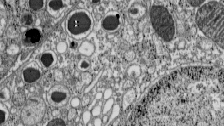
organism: C57BL Mouse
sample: Pancreatic islet